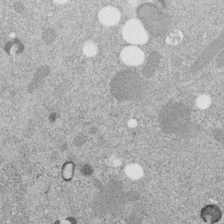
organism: C. elegans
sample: C. elegans embryo early stage